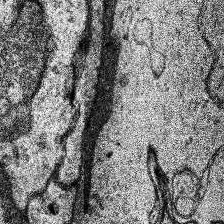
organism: Human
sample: Temporal Lobe